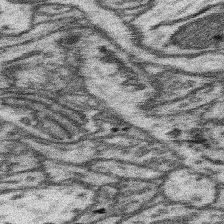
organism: Mouse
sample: Somatosensory cortex neuropil